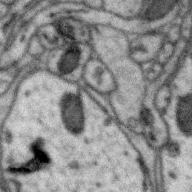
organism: Zebra finch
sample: Brain